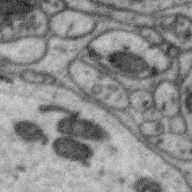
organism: Zebra finch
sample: Brain